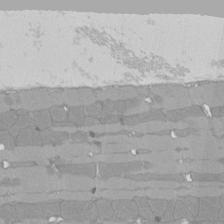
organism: Rat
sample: Left ventricle